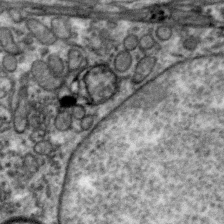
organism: Zebra finch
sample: Brain